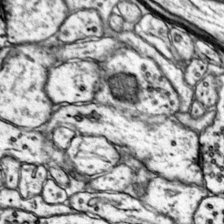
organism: Mouse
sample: Primary visual cortex